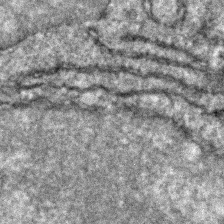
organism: Zebrafish